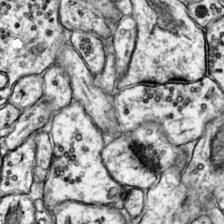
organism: Mouse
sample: Primary visual cortex